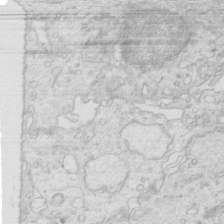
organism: Mouse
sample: Multiciliated cells